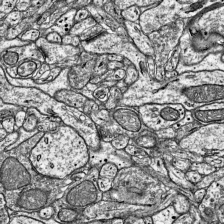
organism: Mouse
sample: Visual Cortex